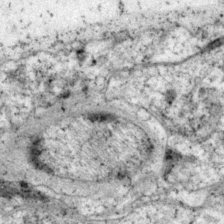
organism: P. pacificus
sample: Pharynx